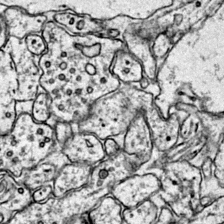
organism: Mouse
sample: Primary visual cortex